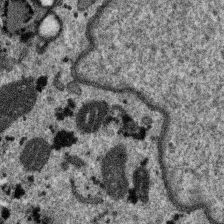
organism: Human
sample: Lung epithelial cells infected with SARS-CoV-2